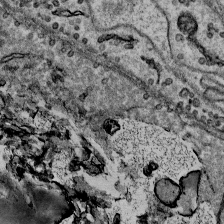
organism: Mouse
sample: Mouse Salivary gland